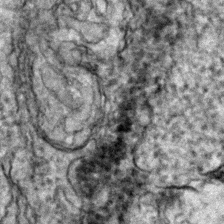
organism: Zebrafish